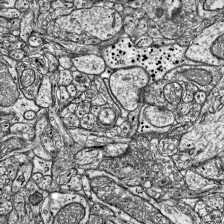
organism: Mouse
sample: Visual Cortex